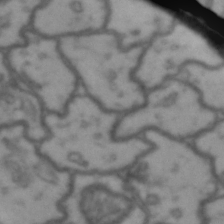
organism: Drosophila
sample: Brain